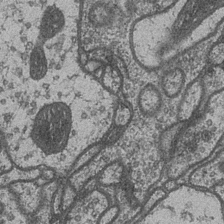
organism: Drosophila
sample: Optic medulla